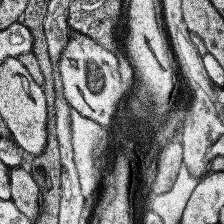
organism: Human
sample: Temporal Lobe